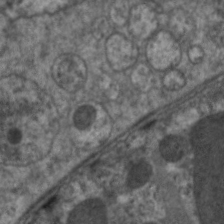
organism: C. elegans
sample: Pharynx